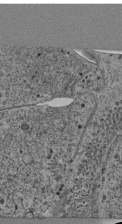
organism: C. elegans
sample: C. elegans pharynx